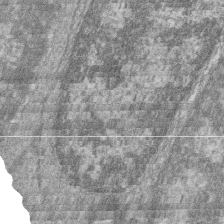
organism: Zebrafish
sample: Cilia; retinal pigment epithelium